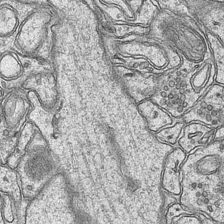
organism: Mouse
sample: CA1 Hippocampus